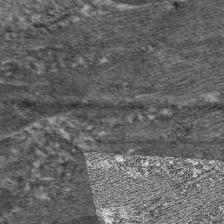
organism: C. elegans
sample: Pharynx